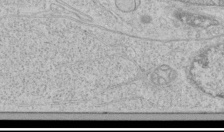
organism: Human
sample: Mitochondria in HCT116 cells